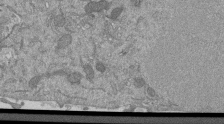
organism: Mouse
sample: ED-1 cell nuclei; centrioles